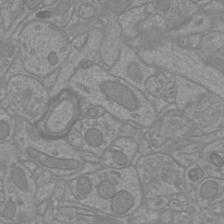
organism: Mouse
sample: Cortical neurons